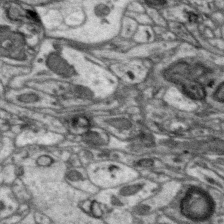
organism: Zebra finch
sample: Brain